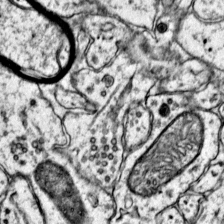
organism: Mouse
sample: Primary visual cortex